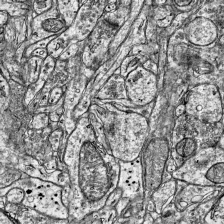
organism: Mouse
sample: Visual Cortex